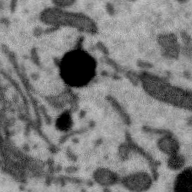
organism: Zebra finch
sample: Brain